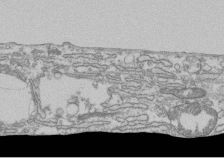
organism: Human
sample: Fibroblast cells